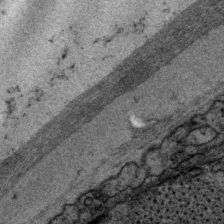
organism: P. pacificus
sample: Pharynx